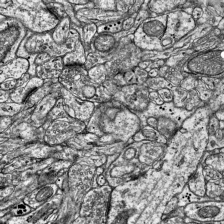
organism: Mouse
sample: Visual Cortex